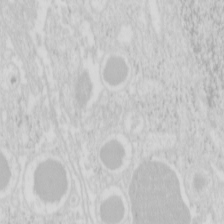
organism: Mouse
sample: Pancreas